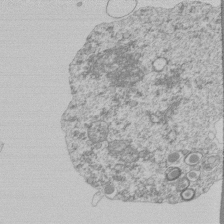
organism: Mouse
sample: Activated Pmel transgenic CD8+ T Cells